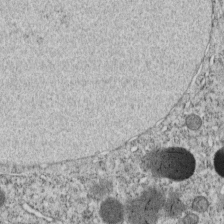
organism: C. elegans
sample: C. elegans embryo early stage